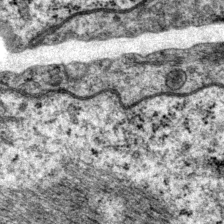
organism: P. pacificus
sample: Pharynx